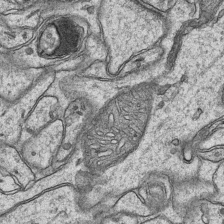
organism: Mouse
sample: CA1 Hippocampus